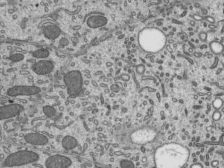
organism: Mouse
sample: Mouse epididymis efferent ductule cilia